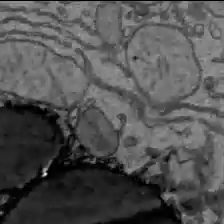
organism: C57BL Mouse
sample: Liver